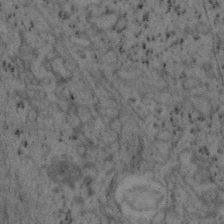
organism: Human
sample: HeLa cells